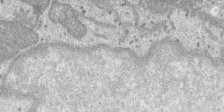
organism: Human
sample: Lung epithelial cells infected with SARS-CoV-2